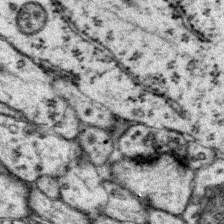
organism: Mouse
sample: Primary visual cortex